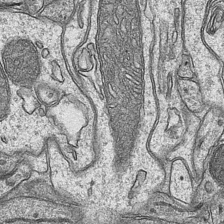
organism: Mouse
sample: CA1 Hippocampus